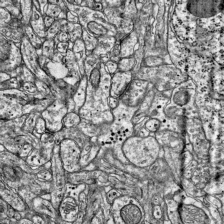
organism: Mouse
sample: Visual Cortex